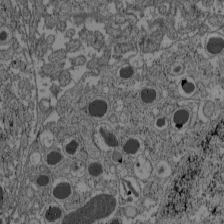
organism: C57BL Mouse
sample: Pancreatic islet